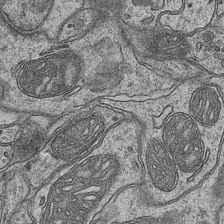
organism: Mouse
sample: CA1 Hippocampus